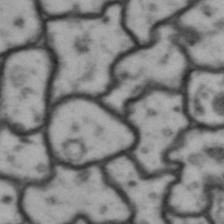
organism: Drosophila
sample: Brain